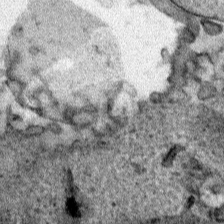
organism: Human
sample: Mitochondria in HCT116 cells